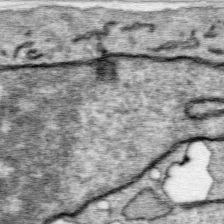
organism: Human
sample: HeLa cells